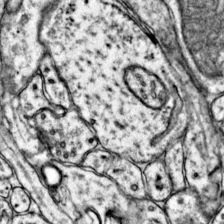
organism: Mouse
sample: Primary visual cortex